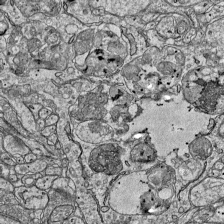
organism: Mouse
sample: Visual Cortex